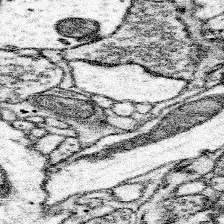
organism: Mouse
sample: Somatosensory cortex neuropil